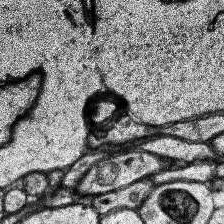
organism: Human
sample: Temporal Lobe